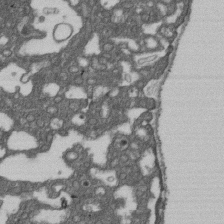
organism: Drosophila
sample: Nephrocyte